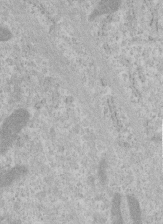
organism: Human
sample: Centriole in RPE cells